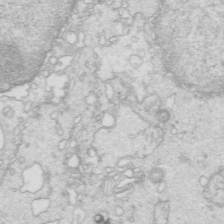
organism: Mouse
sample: Multiciliated cells